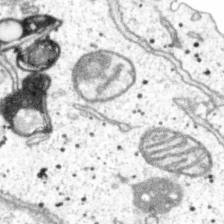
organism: Human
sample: HeLa cells